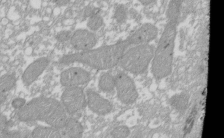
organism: Xenopus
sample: Cilia; centrioles in frog embryo cells